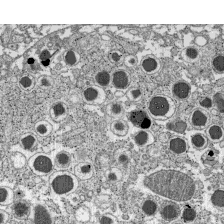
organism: C57BL Mouse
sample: Pancreatic islet